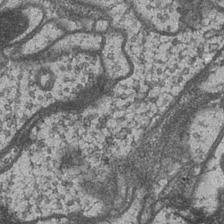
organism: Drosophila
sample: Optic medulla